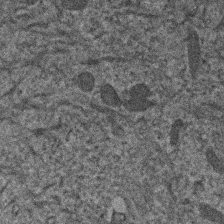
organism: Human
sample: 1205lu cells